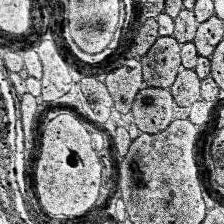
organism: Human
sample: Temporal Lobe